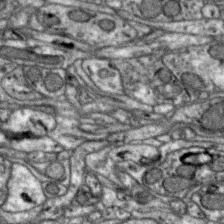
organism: Zebra finch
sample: Brain